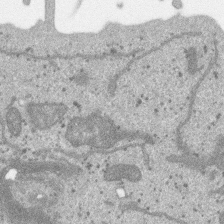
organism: Human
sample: Lung epithelial cells infected with SARS-CoV-2